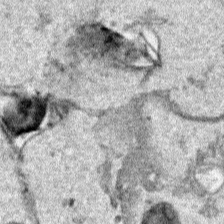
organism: Human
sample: Mitochondria in HCT116 cells